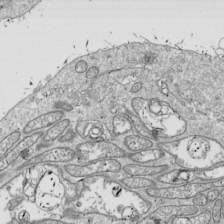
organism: Drosophila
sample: Cell division; meiosis; drosophila spermatocytes